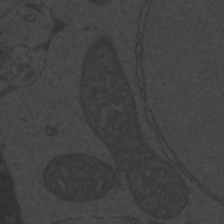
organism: Zebrafish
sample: Macrophage infected with Toxoplasma gondii